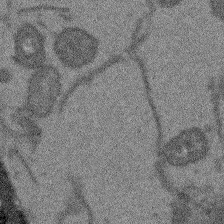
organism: Arabidopsis thaliana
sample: Root tip